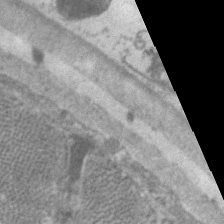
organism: C. elegans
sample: Pharynx